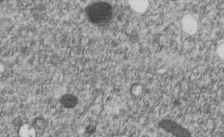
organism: C. elegans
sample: C. elegans embryo early stage